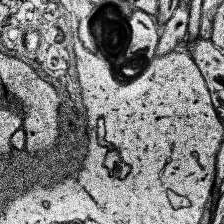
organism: Human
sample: Temporal Lobe